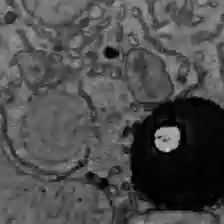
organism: C57BL Mouse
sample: Liver